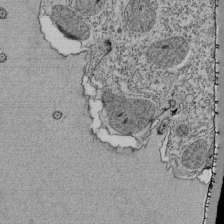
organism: Tetrahymena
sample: Cilia in tetrahymena